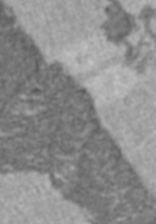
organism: C57BL Mouse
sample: Heart